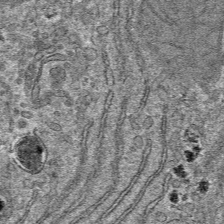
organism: Mouse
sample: Mouse hepatocytes